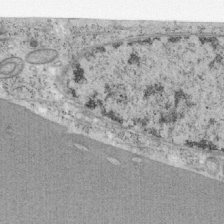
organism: Human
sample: HeLa cells